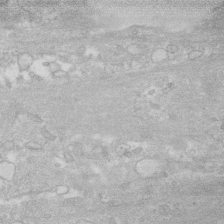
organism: Human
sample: Fibroblast cells